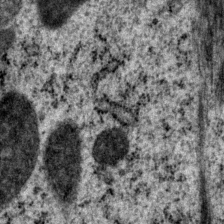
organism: P. pacificus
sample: Pharynx